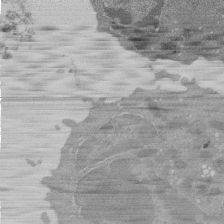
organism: Mouse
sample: Activated Pmel transgenic CD8+ T Cells